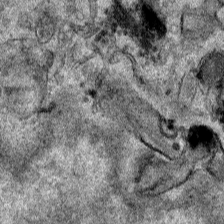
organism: Human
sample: Mitochondria in HCT116 cells